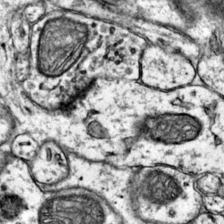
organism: Mouse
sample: Primary visual cortex